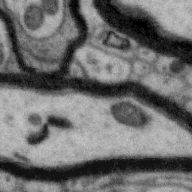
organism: Zebra finch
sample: Brain